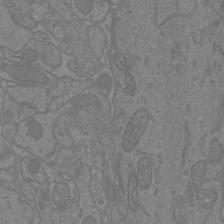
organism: Mouse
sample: Cortical neurons